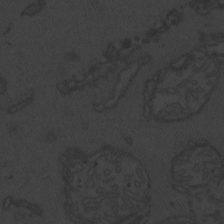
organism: Zebrafish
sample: Macrophage infected with Toxoplasma gondii